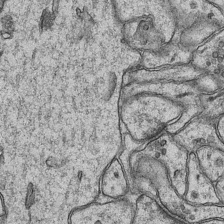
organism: Mouse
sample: CA1 Hippocampus